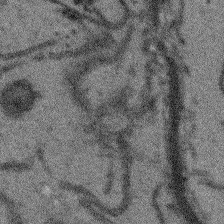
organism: Arabidopsis thaliana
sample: Root tip